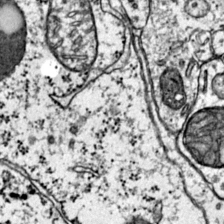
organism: Mouse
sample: Primary visual cortex